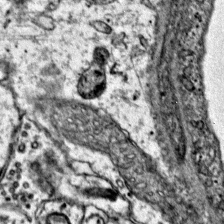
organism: Mouse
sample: Primary visual cortex